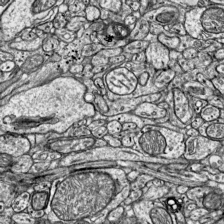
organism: Mouse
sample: Visual Cortex